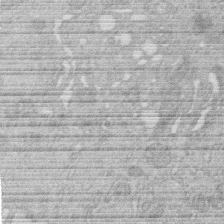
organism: Human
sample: Macrophage cells